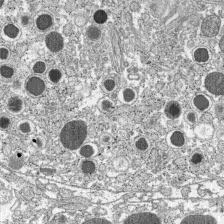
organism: C57BL Mouse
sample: Pancreatic islet